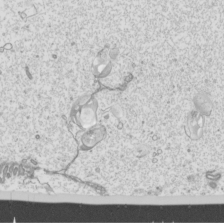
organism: Mouse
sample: Cilia; mouse epididymis